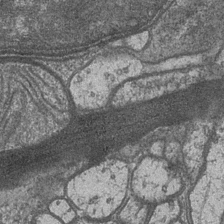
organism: Drosophila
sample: Optic medulla